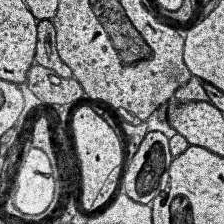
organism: Human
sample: Temporal Lobe